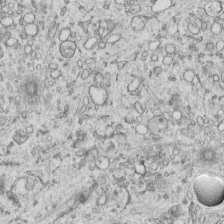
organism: Human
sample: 1205lu cells